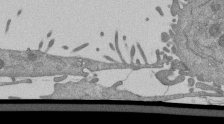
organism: Mouse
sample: ED-1 cell nuclei; centrioles